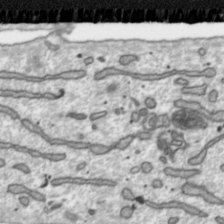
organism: Toxoplasma gondii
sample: Parasites in a vacuole inside a host cell